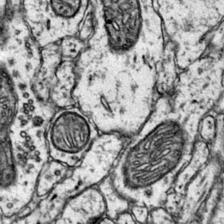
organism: Mouse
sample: Primary visual cortex